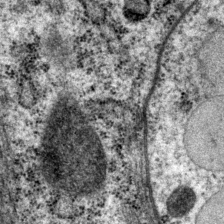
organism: P. pacificus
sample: Pharynx